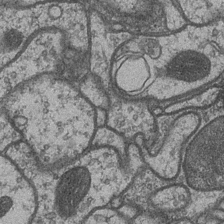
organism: Drosophila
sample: Optic medulla